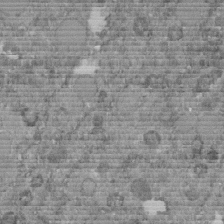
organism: C. elegans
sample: C. elegans embryo early stage